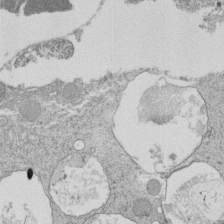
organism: Tetrahymena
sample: Cilia in tetrahymena